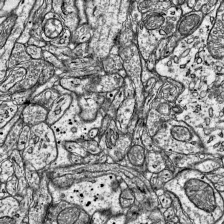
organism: Mouse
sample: Visual Cortex